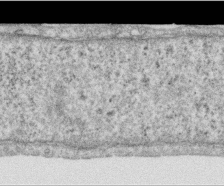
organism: Human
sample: Centriole in RPE cells